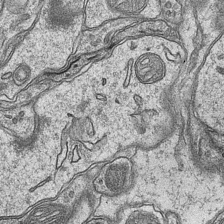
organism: Mouse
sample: CA1 Hippocampus